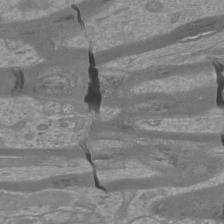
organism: Mouse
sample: Cortical neurons